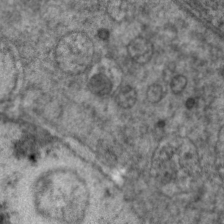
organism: C. elegans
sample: Pharynx